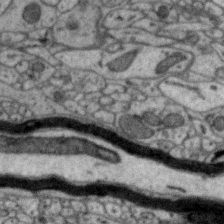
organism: Zebra finch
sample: Brain